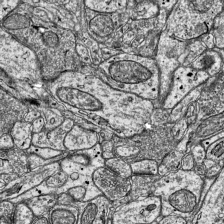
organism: Mouse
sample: Visual Cortex